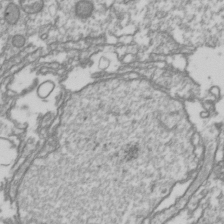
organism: Drosophila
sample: Cell division; meiosis; drosophila spermatocytes